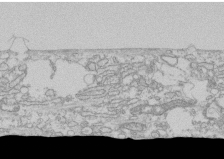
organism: Human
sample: CRL-1474